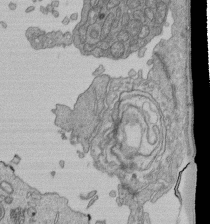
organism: Human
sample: Retinal organoid Rod and Cone cells